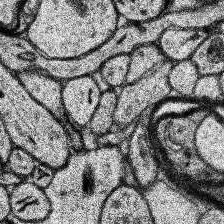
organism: Human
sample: Temporal Lobe